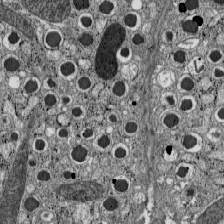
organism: C57BL Mouse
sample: Pancreatic islet